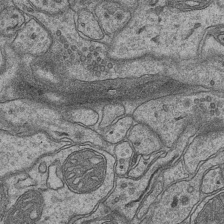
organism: Mouse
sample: CA1 Hippocampus